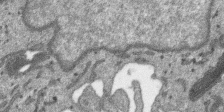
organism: Human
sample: Lung epithelial cells infected with SARS-CoV-2